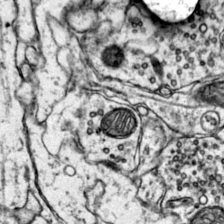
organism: Mouse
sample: Primary visual cortex